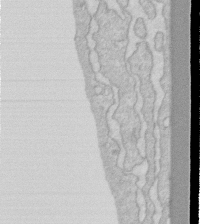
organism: Human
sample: Fibroblast cells